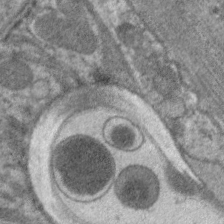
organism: C. elegans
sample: Pharynx